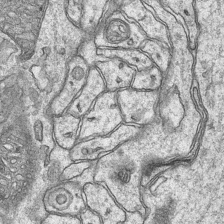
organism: Mouse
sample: CA1 Hippocampus